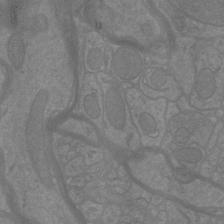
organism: Mouse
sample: Cortical neurons